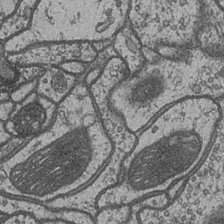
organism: Drosophila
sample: Optic medulla